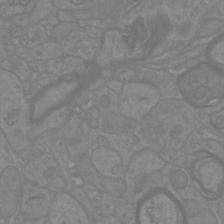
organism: Mouse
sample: Cortical neurons